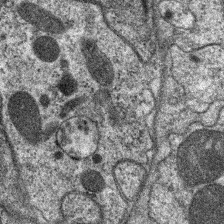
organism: C. elegans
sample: Pharynx